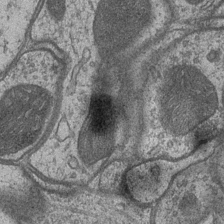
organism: Drosophila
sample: Optic medulla